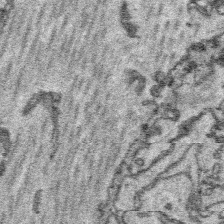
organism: Platynereis dumerilii